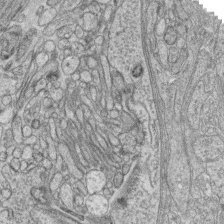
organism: Zebrafish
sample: synaptic ribbons in rod cells and cone cells